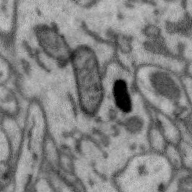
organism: Zebra finch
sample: Brain